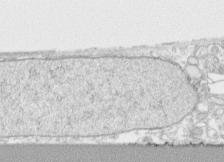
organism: Human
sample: CRL-1474